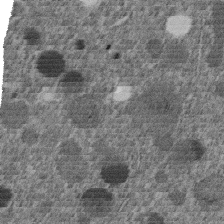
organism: C. elegans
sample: C. elegans embryo early stage